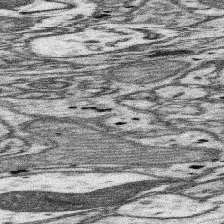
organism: Mouse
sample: Somatosensory cortex neuropil